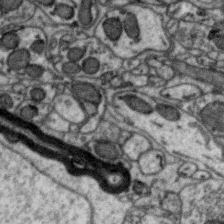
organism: Zebra finch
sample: Brain